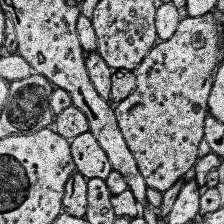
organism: Human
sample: Temporal Lobe